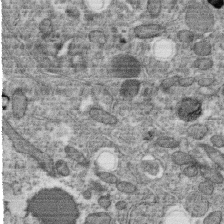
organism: C. elegans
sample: C. elegans oocyte; sperm cells